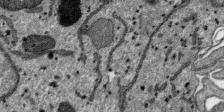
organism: Human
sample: Lung epithelial cells, uninfected (mock) control